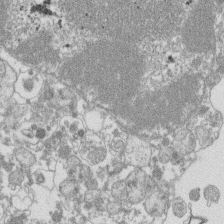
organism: Human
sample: HeLa cell HIV synapse